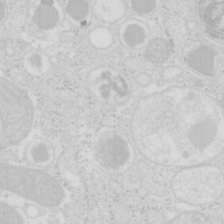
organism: Mouse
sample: Pancreas